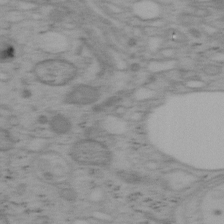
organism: Mouse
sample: OT-I killer T cells with ID8 ovarian cancer cells